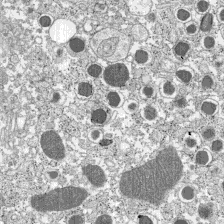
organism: C57BL Mouse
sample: Pancreatic islet